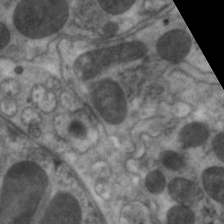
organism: C. elegans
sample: Pharynx